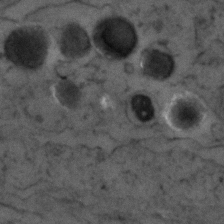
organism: Zebrafish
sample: Zebrafish embryo